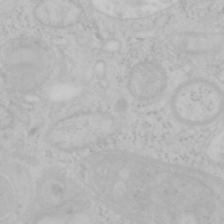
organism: Mouse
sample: OT-I killer T cells with ID8 ovarian cancer cells